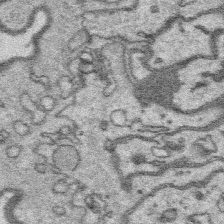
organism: Platynereis dumerilii